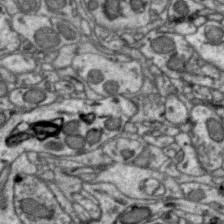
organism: Zebra finch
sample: Brain